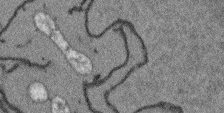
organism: Arabidopsis thaliana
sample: Root tip